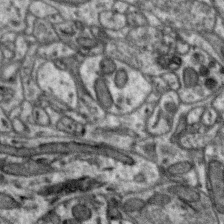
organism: Zebra finch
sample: Brain